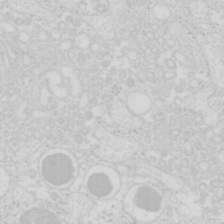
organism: Mouse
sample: Pancreas